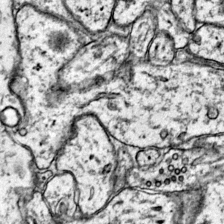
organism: Mouse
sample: Primary visual cortex